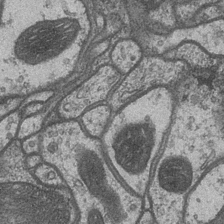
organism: Drosophila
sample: Optic medulla